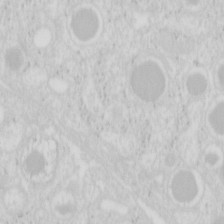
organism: Mouse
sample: Pancreas